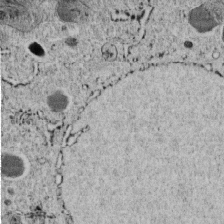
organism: C. elegans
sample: C. elegans embryo early stage